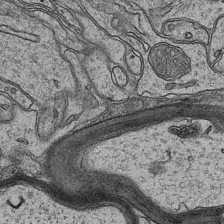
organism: Mouse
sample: CA1 Hippocampus